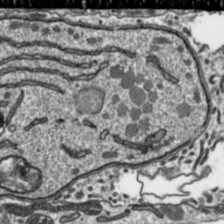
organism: Toxoplasma gondii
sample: Parasites in a vacuole inside a host cell